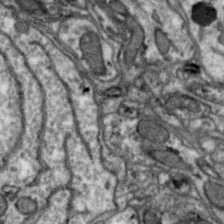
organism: Zebra finch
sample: Brain